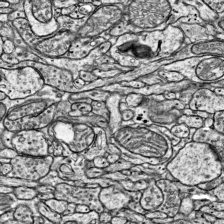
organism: Mouse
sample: Visual Cortex